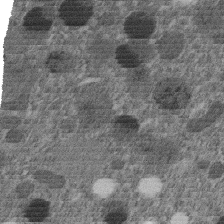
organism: C. elegans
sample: C. elegans embryo early stage